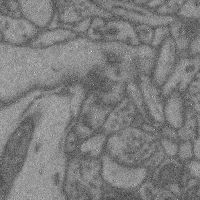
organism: Mouse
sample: Cerebral cortex